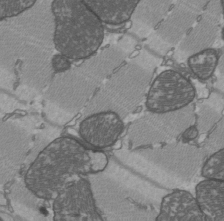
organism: C57BL Mouse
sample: Heart